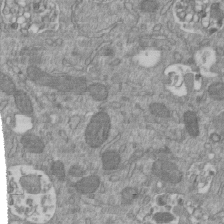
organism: Mouse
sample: ED-1 cell nuclei; centrioles